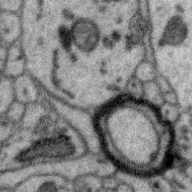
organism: Zebra finch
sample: Brain